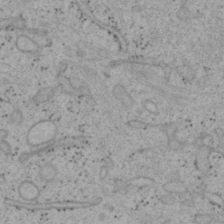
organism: Human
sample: HeLa cells